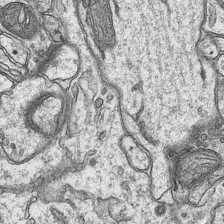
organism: Mouse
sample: CA1 Hippocampus